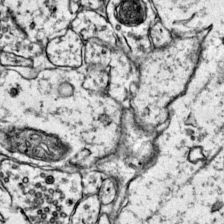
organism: Mouse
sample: Primary visual cortex